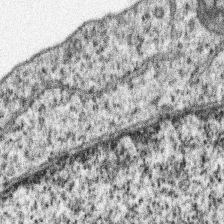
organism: Human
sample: HeLa cells